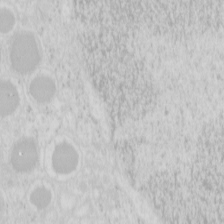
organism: Mouse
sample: Pancreas